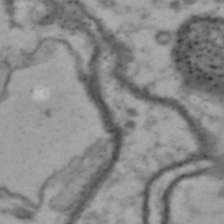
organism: Drosophila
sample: Brain